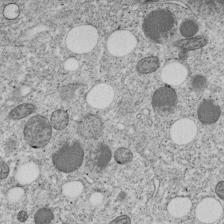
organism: C. elegans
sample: C. elegans embryo early stage